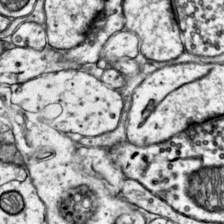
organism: Mouse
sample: Primary visual cortex